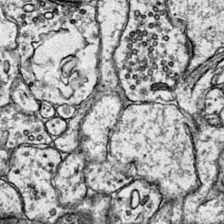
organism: Mouse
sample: Primary visual cortex